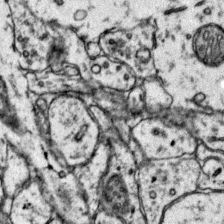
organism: Mouse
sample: Primary visual cortex